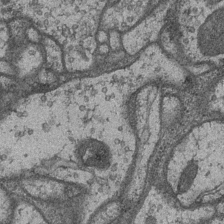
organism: Drosophila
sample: Optic medulla